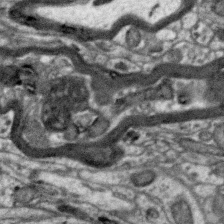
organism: Zebra finch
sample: Brain